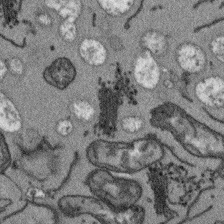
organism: Arabidopsis thaliana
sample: Root tip